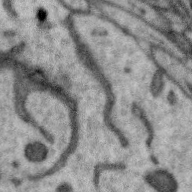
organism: Zebra finch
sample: Brain